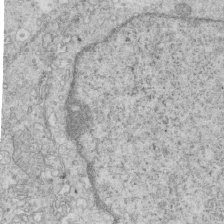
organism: Mouse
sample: Multiciliated cells